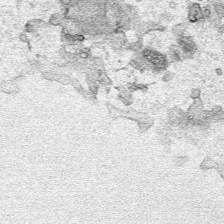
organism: Human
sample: Mitochondria in HCT116 cells